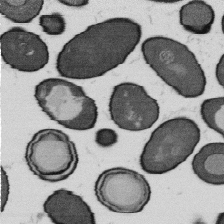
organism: B. subtilis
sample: Bacterial spore